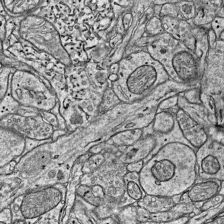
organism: Mouse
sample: Visual Cortex